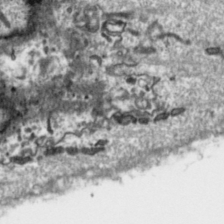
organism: Toxoplasma gondii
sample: Parasites in a vacuole inside a host cell